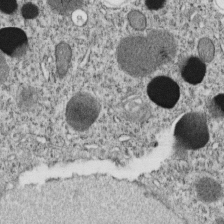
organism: C. elegans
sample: C. elegans embryo early stage